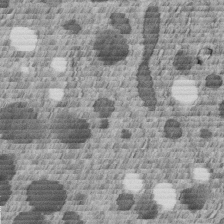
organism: C. elegans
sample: C. elegans embryo early stage